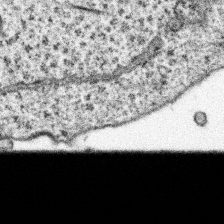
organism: Human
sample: HeLa cells